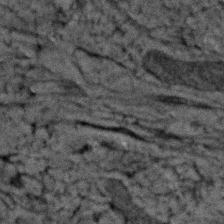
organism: Zebrafish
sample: Zebrafish embryo